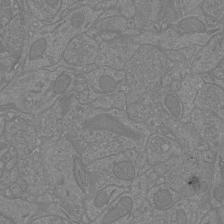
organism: Mouse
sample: Cortical neurons